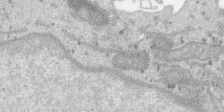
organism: Human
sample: Lung epithelial cells infected with SARS-CoV-2